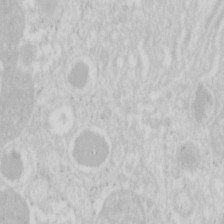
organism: Mouse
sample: Pancreas